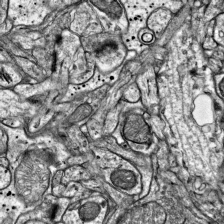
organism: Mouse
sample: Visual Cortex